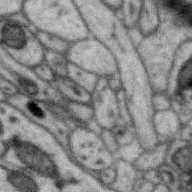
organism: Zebra finch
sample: Brain